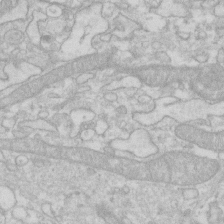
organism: Human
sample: Fibroblast cells